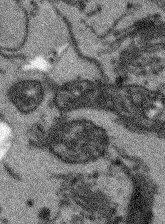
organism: Arabidopsis thaliana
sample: Root tip